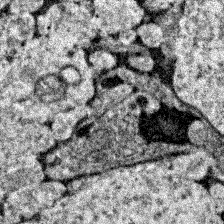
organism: Zebrafish